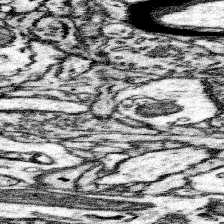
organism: Mouse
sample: Somatosensory cortex neuropil